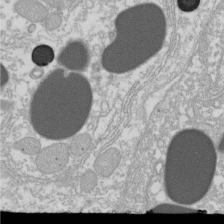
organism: Xenopus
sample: Cilia; centrioles in frog embryo cells